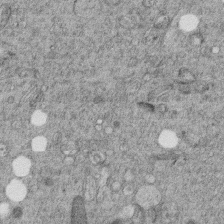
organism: C. elegans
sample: C. elegans embryo early stage